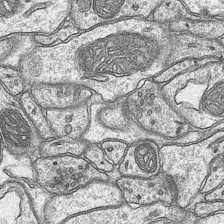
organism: Mouse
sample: CA1 Hippocampus